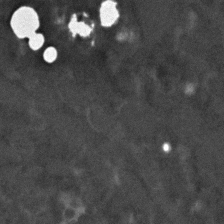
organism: C. elegans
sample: C. elegans embryo